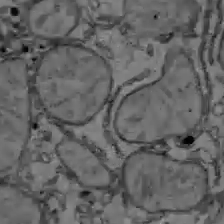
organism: C57BL Mouse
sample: Liver